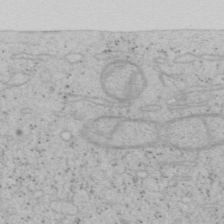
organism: Human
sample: HeLa cells